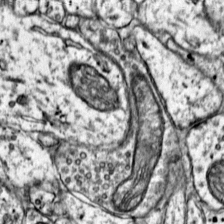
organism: Mouse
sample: Primary visual cortex